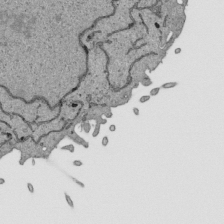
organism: Human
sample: Mitochondria in HCT116 cells